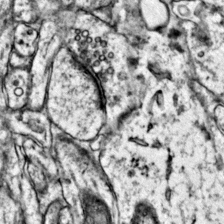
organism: Mouse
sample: Primary visual cortex